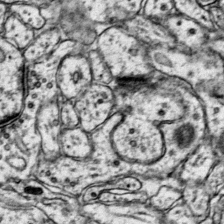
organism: Mouse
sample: Primary visual cortex